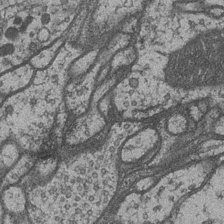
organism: Drosophila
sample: Optic medulla